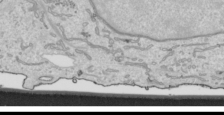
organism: Human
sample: Mitochondria in HCT116 cells